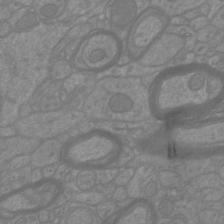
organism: Mouse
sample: Cortical neurons